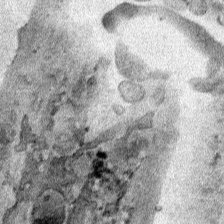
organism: Human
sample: Mitochondria in HCT116 cells